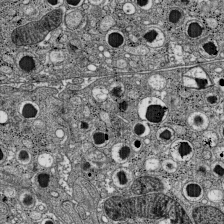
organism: C57BL Mouse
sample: Pancreatic islet